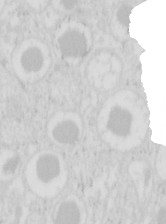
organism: Mouse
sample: Pancreas